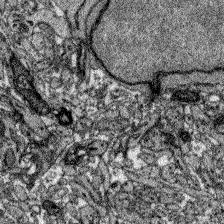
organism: Zebrafish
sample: Larval olfactory bulb